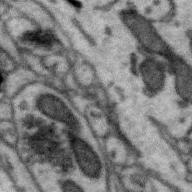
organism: Zebra finch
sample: Brain